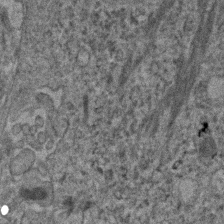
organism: Human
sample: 1205lu cells